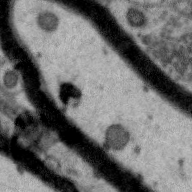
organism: Zebra finch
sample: Brain